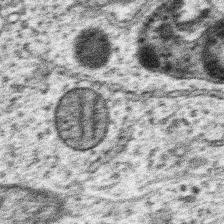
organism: Human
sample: HeLa cells